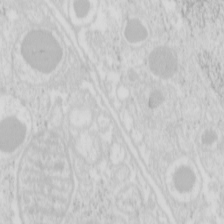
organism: Mouse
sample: Pancreas